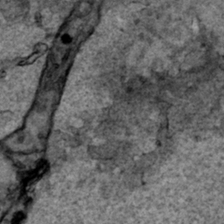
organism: Human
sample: Mitochondria in HCT116 cells